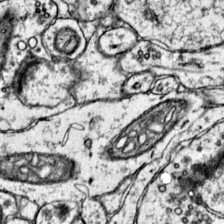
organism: Mouse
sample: Primary visual cortex